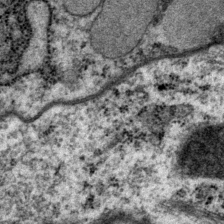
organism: P. pacificus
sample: Pharynx